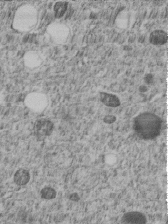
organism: C. elegans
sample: C. elegans embryo early stage